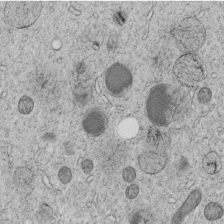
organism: C. elegans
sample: C. elegans embryo early stage